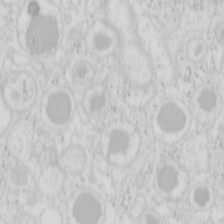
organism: Mouse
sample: Pancreas